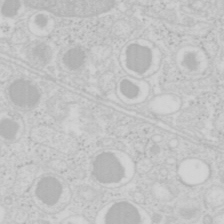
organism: Mouse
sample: Pancreas